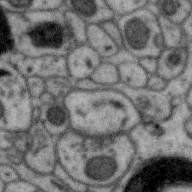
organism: Zebra finch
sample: Brain